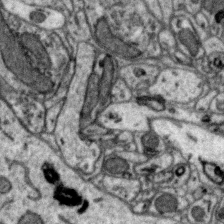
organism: Zebra finch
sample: Brain